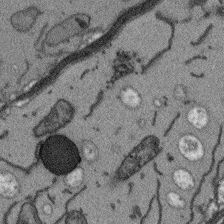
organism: Arabidopsis thaliana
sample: Root tip